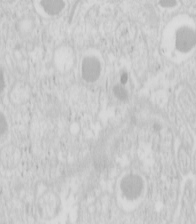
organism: Mouse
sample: Pancreas